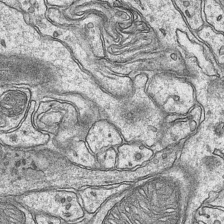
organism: Mouse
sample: CA1 Hippocampus